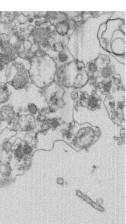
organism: Human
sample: HeLa cell HIV synapse